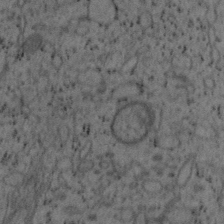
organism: Human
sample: HeLa cells